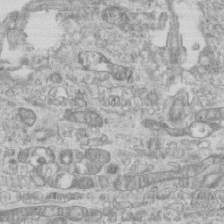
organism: Mouse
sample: Centriole in ependymal cells